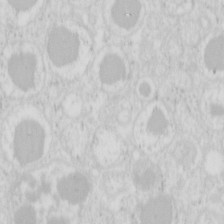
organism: Mouse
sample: Pancreas